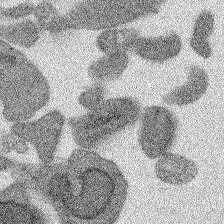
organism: Human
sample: HeLa cells